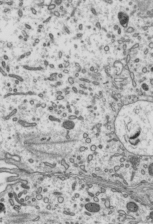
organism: Mouse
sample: Mouse epididymis efferent ductule cilia